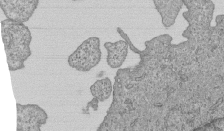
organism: Human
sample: MDA-MB-231 cells